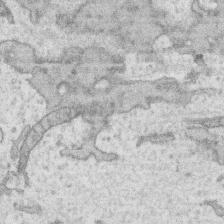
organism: Human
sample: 1205lu cells